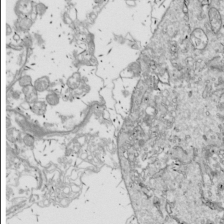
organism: Drosophila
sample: Cell division; meiosis; drosophila spermatocytes